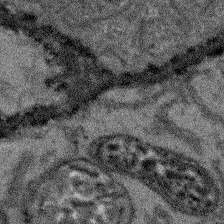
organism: Arabidopsis thaliana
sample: Root tip